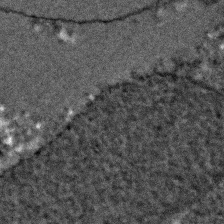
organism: C. elegans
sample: C. elegans embryo